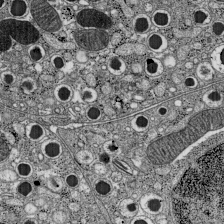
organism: C57BL Mouse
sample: Pancreatic islet